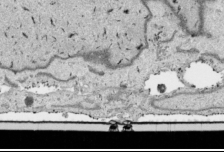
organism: Human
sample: Mitochondria in HCT116 cells